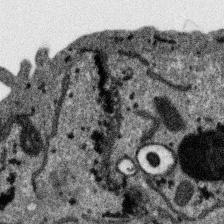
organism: Human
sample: Lung epithelial cells infected with SARS-CoV-2